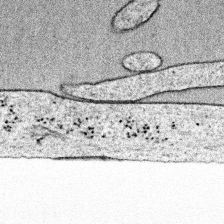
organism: Human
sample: HeLa cells